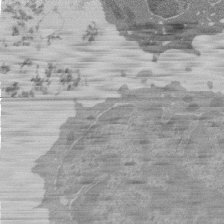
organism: Mouse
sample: Activated Pmel transgenic CD8+ T Cells